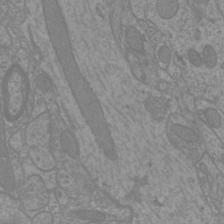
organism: Mouse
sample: Cortical neurons